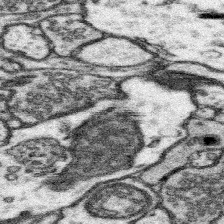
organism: Mouse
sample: Somatosensory cortex neuropil